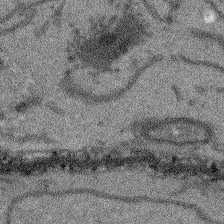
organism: Arabidopsis thaliana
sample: Root tip